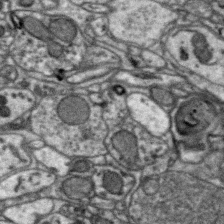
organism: Zebra finch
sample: Brain